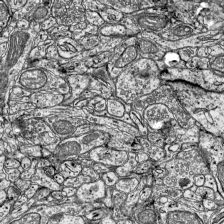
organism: Mouse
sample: Visual Cortex